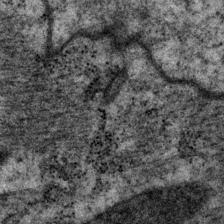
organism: P. pacificus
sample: Pharynx